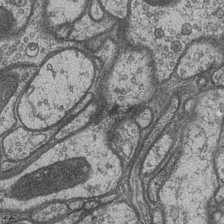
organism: Drosophila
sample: Optic medulla